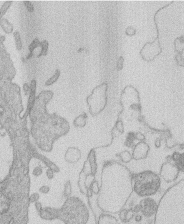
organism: Human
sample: Macrophage cells